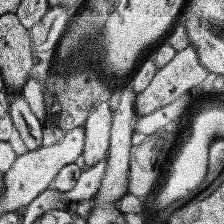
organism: Human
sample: Temporal Lobe